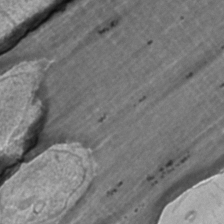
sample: Trachea